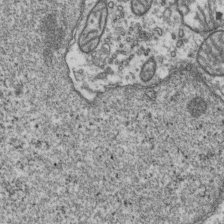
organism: Human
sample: Activated Jurkat CD4+ T cells